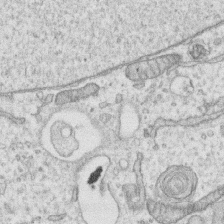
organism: Human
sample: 1205lu cells